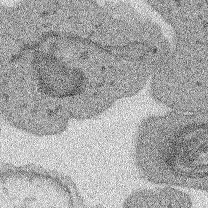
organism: Human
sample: HeLa cells